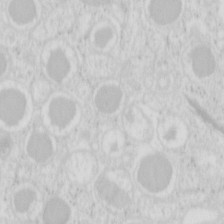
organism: Mouse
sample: Pancreas